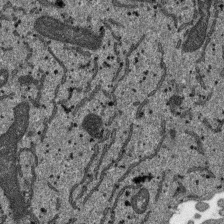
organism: Human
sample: Lung epithelial cells infected with SARS-CoV-2